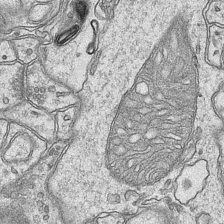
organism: Mouse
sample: CA1 Hippocampus